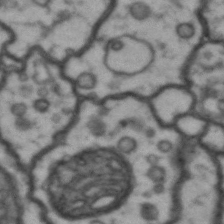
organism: Drosophila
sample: Brain